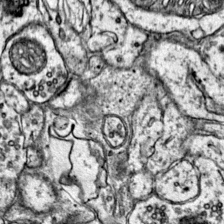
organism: Mouse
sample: Primary visual cortex